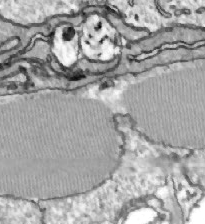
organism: Zebrafish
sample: Actinotrichia fibers